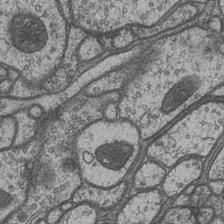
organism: Drosophila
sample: Optic medulla